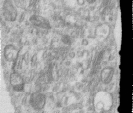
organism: Human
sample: Centriole in RPE cells